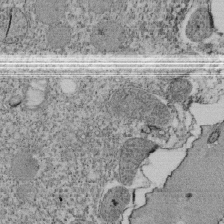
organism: Tetrahymena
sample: Cilia in tetrahymena